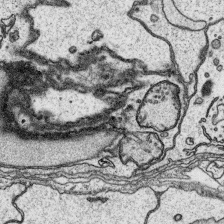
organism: Platynereis dumerilii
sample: Parapodia